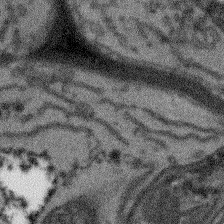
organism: Arabidopsis thaliana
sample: Root tip